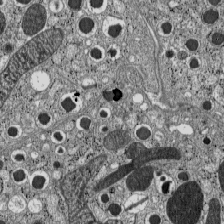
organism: C57BL Mouse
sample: Pancreatic islet